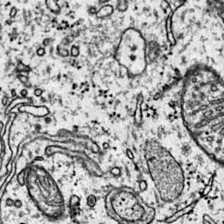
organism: Mouse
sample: Primary visual cortex